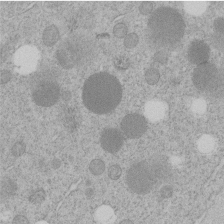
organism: C. elegans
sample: C. elegans embryo early stage